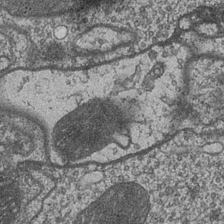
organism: Drosophila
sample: Optic medulla